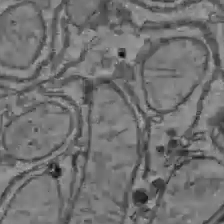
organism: C57BL Mouse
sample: Liver